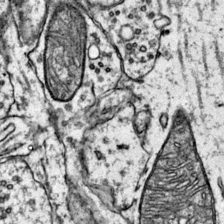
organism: Mouse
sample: Primary visual cortex